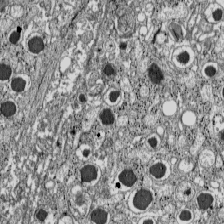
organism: C57BL Mouse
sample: Pancreatic islet